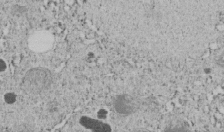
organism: C. elegans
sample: C. elegans embryo early stage